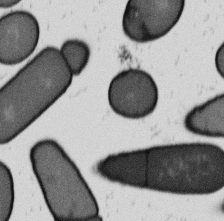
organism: B. subtilis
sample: Bacterial spore